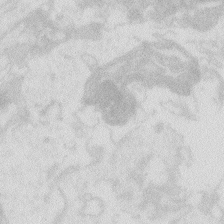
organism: Zebrafish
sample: Macrophage